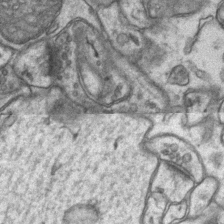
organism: Mouse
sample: CA1 Hippocampus